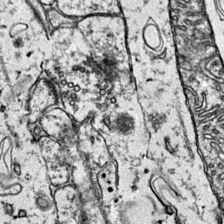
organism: Mouse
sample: Primary visual cortex